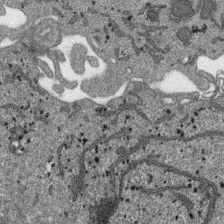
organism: Human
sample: Lung epithelial cells infected with SARS-CoV-2